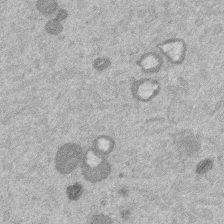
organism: Mouse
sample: Dividing mouse embryo 1 cell stage